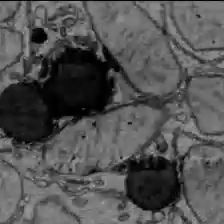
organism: C57BL Mouse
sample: Liver